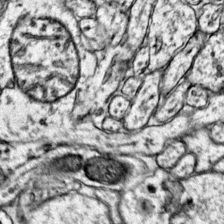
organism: Mouse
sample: Primary visual cortex